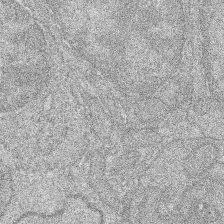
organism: Zebrafish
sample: Cilia; retinal pigment epithelium